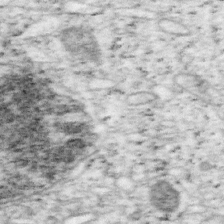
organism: Mouse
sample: OT-I killer T cells with ID8 ovarian cancer cells